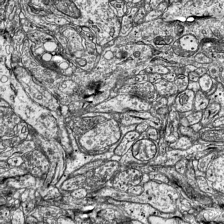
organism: Mouse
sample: Visual Cortex